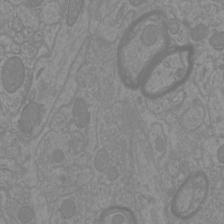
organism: Mouse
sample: Cortical neurons